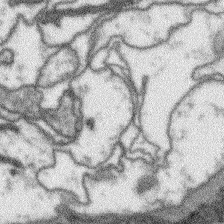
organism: Arabidopsis thaliana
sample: Root tip